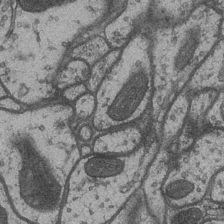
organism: Drosophila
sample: Optic medulla